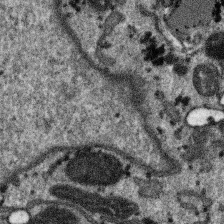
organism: Human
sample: Lung epithelial cells infected with SARS-CoV-2